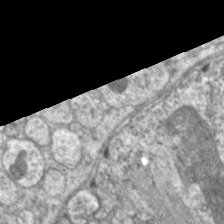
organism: C. elegans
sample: Pharynx